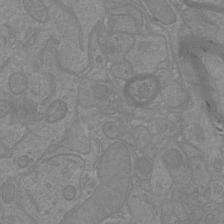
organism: Mouse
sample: Cortical neurons